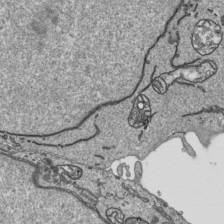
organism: Human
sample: Mitochondria in HCT116 cells